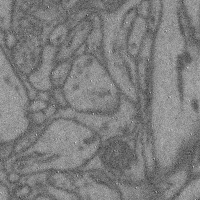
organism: Mouse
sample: Cerebral cortex